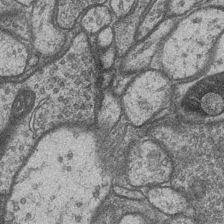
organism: Drosophila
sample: Optic medulla